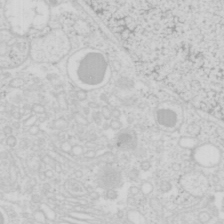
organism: Mouse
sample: Pancreas